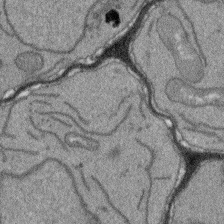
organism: Arabidopsis thaliana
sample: Root tip